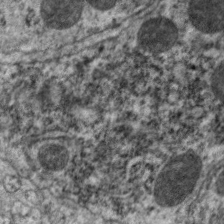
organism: C. elegans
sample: Pharynx